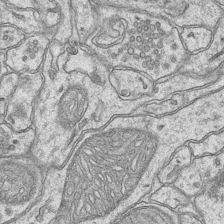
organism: Mouse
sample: CA1 Hippocampus